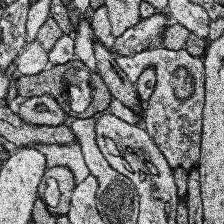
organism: Human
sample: Temporal Lobe